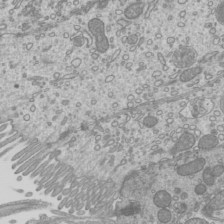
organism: Mouse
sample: Cilia; mouse epididymis